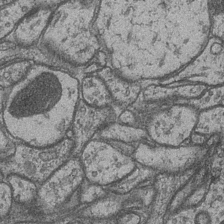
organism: Drosophila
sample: Optic medulla